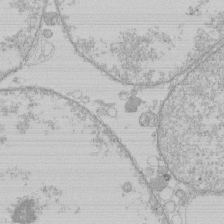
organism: Human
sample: Macrophage cells